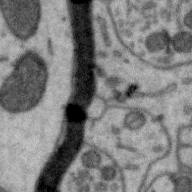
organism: Zebra finch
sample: Brain